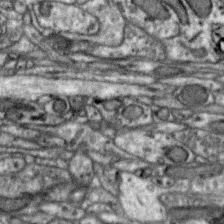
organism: Zebra finch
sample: Brain